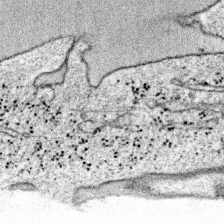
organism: Human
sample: HeLa cells